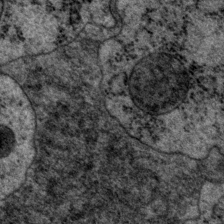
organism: P. pacificus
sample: Pharynx